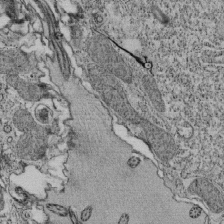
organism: Tetrahymena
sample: Cilia in tetrahymena